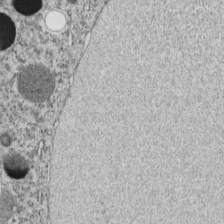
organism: C. elegans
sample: C. elegans embryo early stage